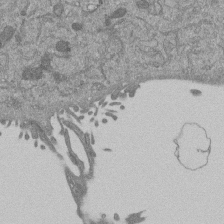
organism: Mouse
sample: ED-1 cell nuclei; centrioles